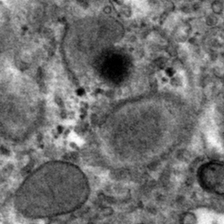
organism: Mouse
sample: Mouse hepatocytes